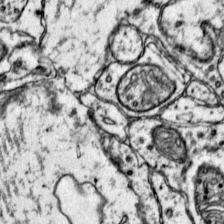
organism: Mouse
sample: Primary visual cortex